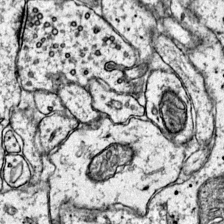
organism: Mouse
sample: Primary visual cortex